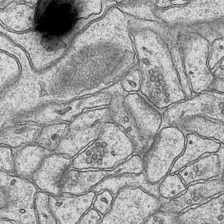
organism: Mouse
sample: CA1 Hippocampus